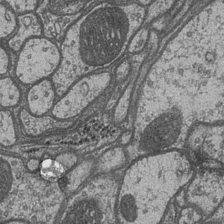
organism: Drosophila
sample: Optic medulla